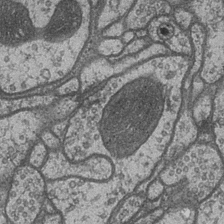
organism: Drosophila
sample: Optic medulla